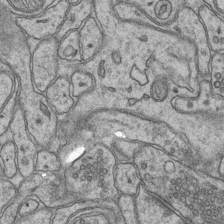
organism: Mouse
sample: CA1 Hippocampus